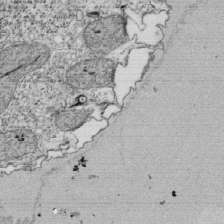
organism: Tetrahymena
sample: Cilia in tetrahymena